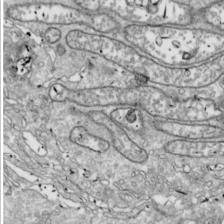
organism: Drosophila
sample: Cell division; meiosis; drosophila spermatocytes